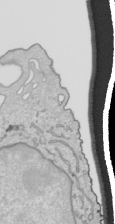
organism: Human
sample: Mitochondria in HCT116 cells